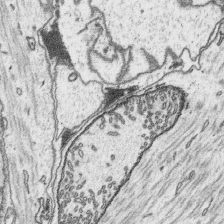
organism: Platynereis dumerilii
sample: Parapodia